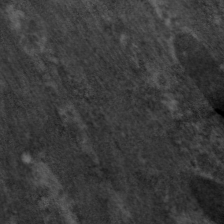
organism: C. elegans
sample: Pharynx